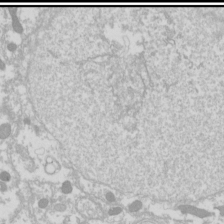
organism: Drosophila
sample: Cell division; meiosis; drosophila spermatocytes